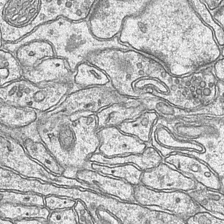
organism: Mouse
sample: CA1 Hippocampus